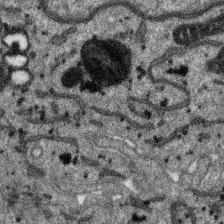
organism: Human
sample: Lung epithelial cells infected with SARS-CoV-2